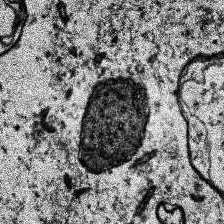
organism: Human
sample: Temporal Lobe